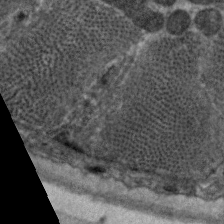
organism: C. elegans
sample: Pharynx